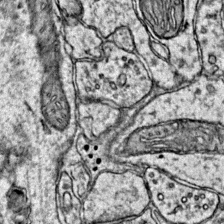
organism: Mouse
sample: Primary visual cortex